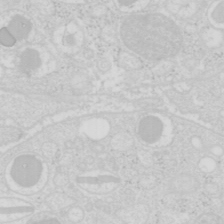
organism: Mouse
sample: Pancreas